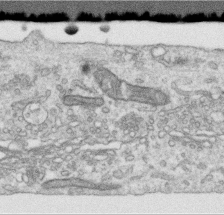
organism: Human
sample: Centriole in RPE cells